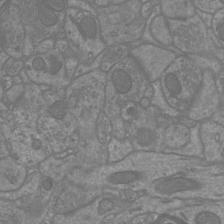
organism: Mouse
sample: Cortical neurons